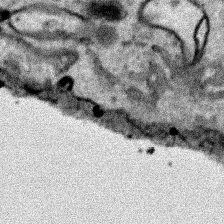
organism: Human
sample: Mitochondria in HCT116 cells